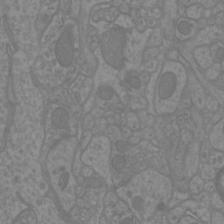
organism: Mouse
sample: Cortical neurons